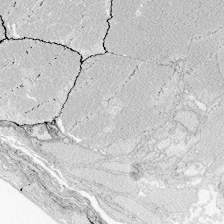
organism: Zebrafish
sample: Whole-Brain